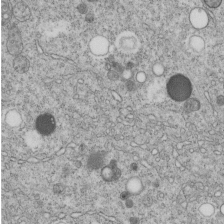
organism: C. elegans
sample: C. elegans embryo early stage